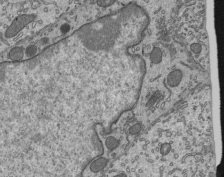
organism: Mouse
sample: Mouse epididymis efferent ductule cilia